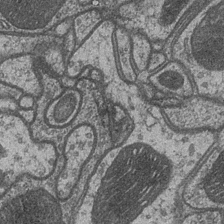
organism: Drosophila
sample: Optic medulla